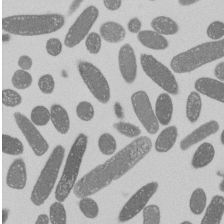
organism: E. coli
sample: Bacterial nucleoid